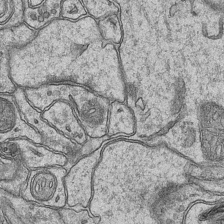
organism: Mouse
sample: CA1 Hippocampus